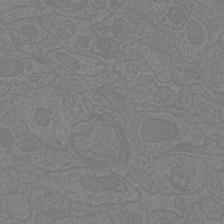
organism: Mouse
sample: Cortical neurons